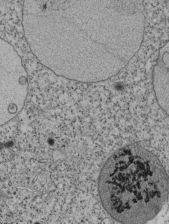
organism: Tetrahymena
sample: Cilia in tetrahymena